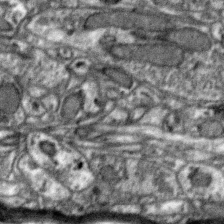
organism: Zebra finch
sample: Brain